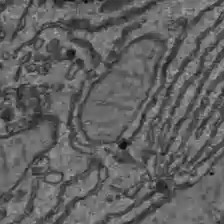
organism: C57BL Mouse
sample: Liver